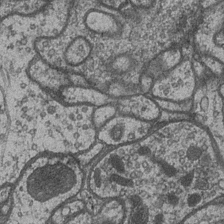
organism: Drosophila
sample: Optic medulla